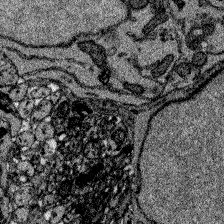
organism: Zebrafish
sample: Larval olfactory bulb